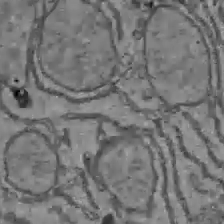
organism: C57BL Mouse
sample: Liver